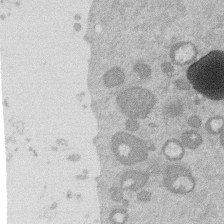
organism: Mouse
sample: Dividing mouse embryo 1 cell stage